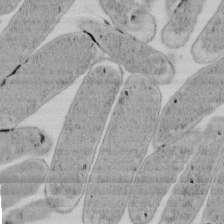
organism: E. coli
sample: Bacterial nucleoid